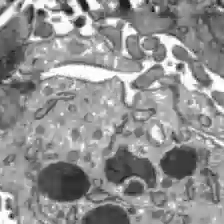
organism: C57BL Mouse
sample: Liver